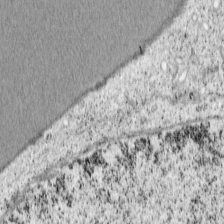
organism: African green monkey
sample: COS-7 cells